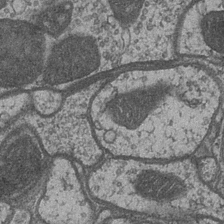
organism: Drosophila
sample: Optic medulla